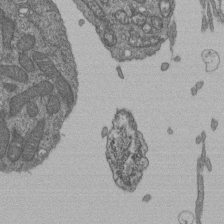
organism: Human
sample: Retinal organoid Rod and Cone cells